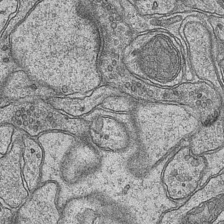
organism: Mouse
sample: CA1 Hippocampus